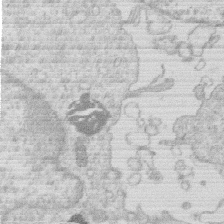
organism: Human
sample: Macrophage cells